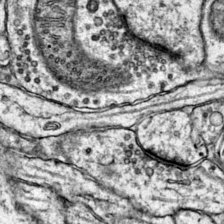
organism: Mouse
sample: Primary visual cortex